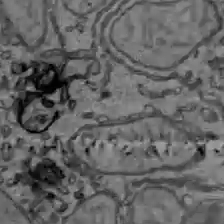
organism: C57BL Mouse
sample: Liver